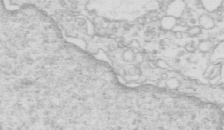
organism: Mouse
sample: Multiciliated cells